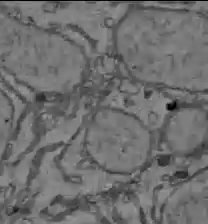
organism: C57BL Mouse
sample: Liver